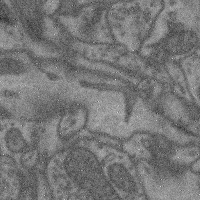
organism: Mouse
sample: Cerebral cortex